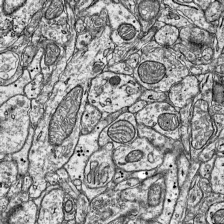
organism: Mouse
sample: Visual Cortex